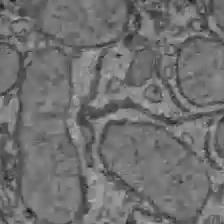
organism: C57BL Mouse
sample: Liver